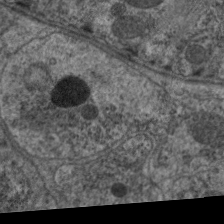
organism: C. elegans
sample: Pharynx